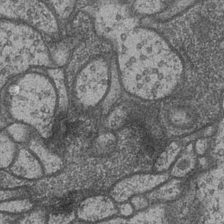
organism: Drosophila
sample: Optic medulla